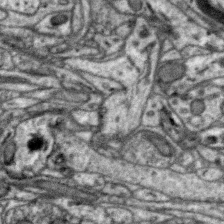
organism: Zebra finch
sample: Brain